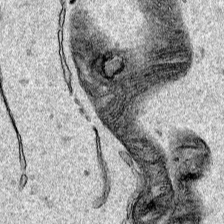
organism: Human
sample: Mitochondria in HCT116 cells